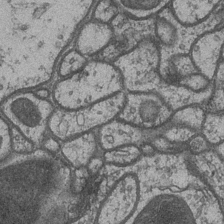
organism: Drosophila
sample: Optic medulla